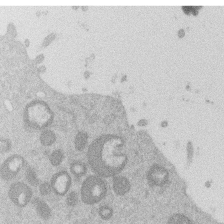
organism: Mouse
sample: Dividing mouse embryo 1 cell stage